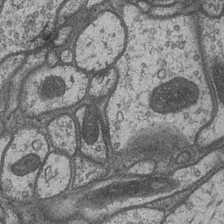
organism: Drosophila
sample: Optic medulla